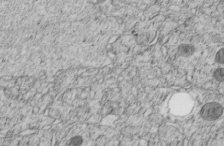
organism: C. elegans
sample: C. elegans embryo early stage